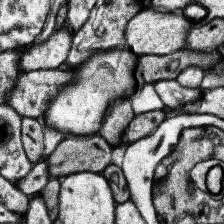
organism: Human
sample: Temporal Lobe